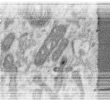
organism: Human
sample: Centriole in RPE cells